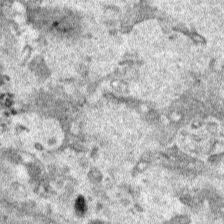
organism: Human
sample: Mitochondria in HCT116 cells